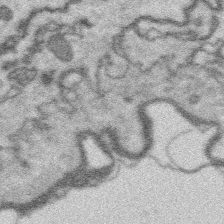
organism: Platynereis dumerilii